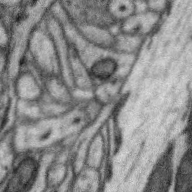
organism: Zebra finch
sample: Brain